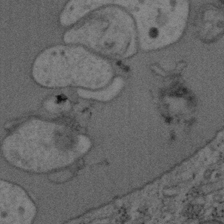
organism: Human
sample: HeLa cells